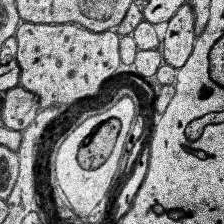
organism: Human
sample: Temporal Lobe